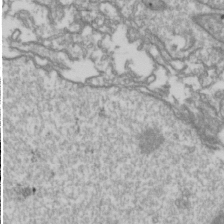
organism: Drosophila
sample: Cell division; meiosis; drosophila spermatocytes